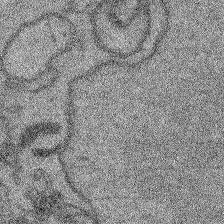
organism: Human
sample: HeLa cells